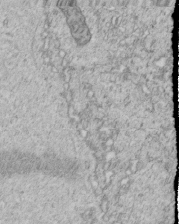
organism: C. elegans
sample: C. elegans embryo early stage